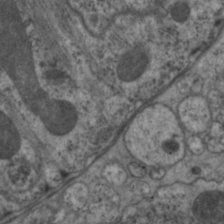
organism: C. elegans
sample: Pharynx